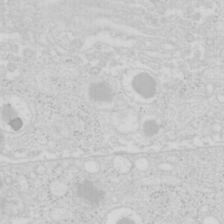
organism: Mouse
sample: Pancreas